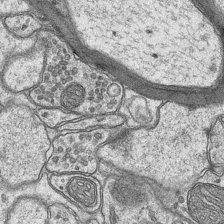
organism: Mouse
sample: CA1 Hippocampus